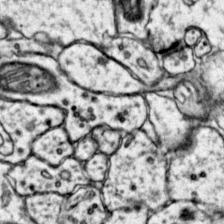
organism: Mouse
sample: Primary visual cortex